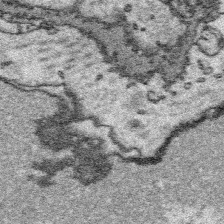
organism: Platynereis dumerilii